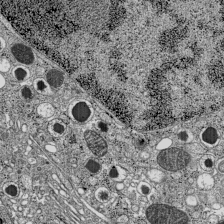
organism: C57BL Mouse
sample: Pancreatic islet